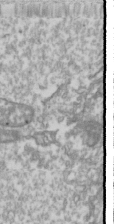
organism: Drosophila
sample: Cell division; meiosis; drosophila spermatocytes